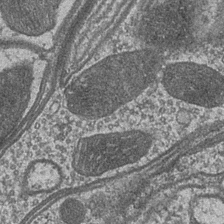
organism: Drosophila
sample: Optic medulla